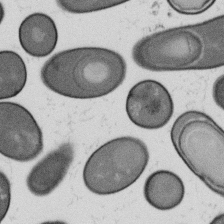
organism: B. subtilis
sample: Bacterial spore